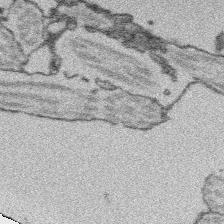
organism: Platynereis dumerilii